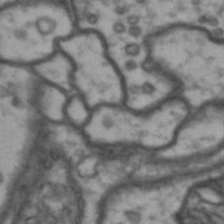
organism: Drosophila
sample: Brain